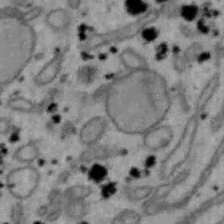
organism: Mouse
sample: Liver